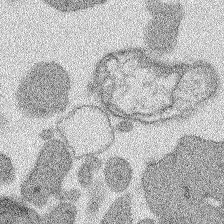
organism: Human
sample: HeLa cells